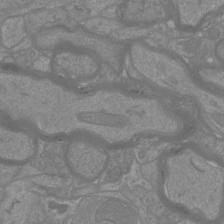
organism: Mouse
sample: Cortical neurons